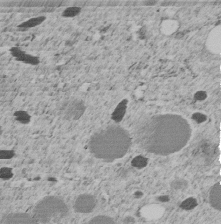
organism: C. elegans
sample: C. elegans embryo early stage